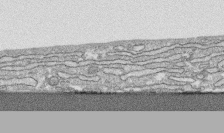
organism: Human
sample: CRL-1474